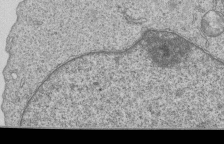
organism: Human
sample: MDA-MB-231 cells